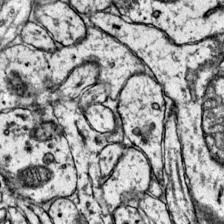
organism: Mouse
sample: Primary visual cortex